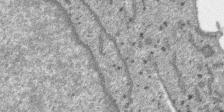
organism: Human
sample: Lung epithelial cells infected with SARS-CoV-2